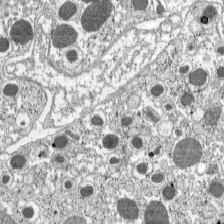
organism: C57BL Mouse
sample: Pancreatic islet